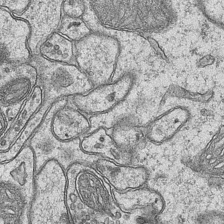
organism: Mouse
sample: CA1 Hippocampus